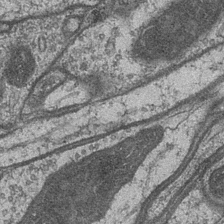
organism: Drosophila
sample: Optic medulla